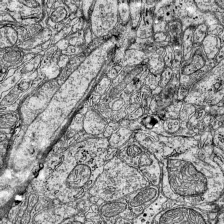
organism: Mouse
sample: Visual Cortex